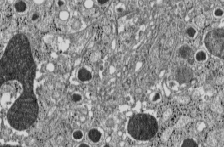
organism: C57BL Mouse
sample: Pancreatic islet